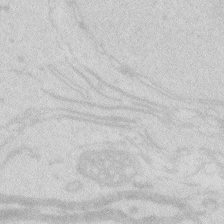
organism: Zebrafish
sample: Macrophage